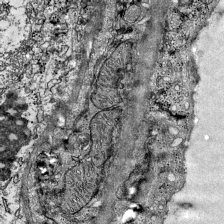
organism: Mouse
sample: Visual Cortex